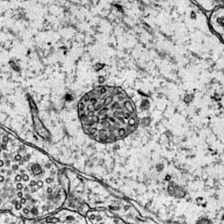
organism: Mouse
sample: Primary visual cortex